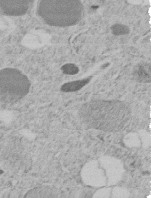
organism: C. elegans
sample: C. elegans embryo early stage